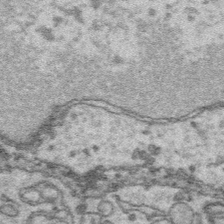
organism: Platynereis dumerilii